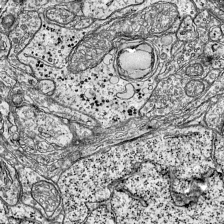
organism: Mouse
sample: Visual Cortex